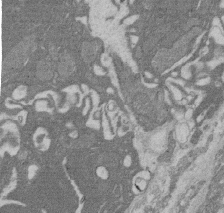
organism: Rat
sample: Salivary granule